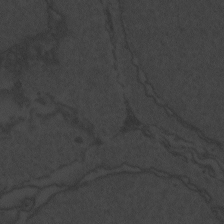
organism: Zebrafish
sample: Macrophage infected with Toxoplasma gondii